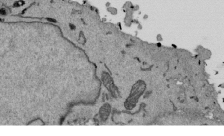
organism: Mouse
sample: ED-1 cell nuclei; centrioles